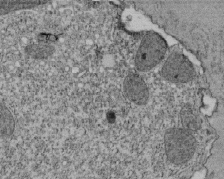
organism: Tetrahymena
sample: Cilia in tetrahymena